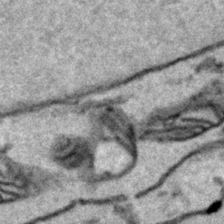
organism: Human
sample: Mitochondria in HCT116 cells